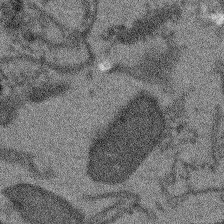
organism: Arabidopsis thaliana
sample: Root tip